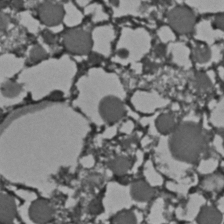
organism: C. elegans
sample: C. elegans embryo